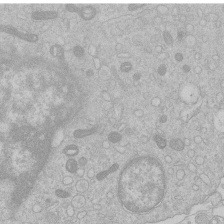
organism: Human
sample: Macrophage cells